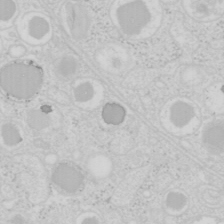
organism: Mouse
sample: Pancreas